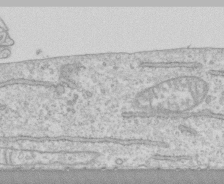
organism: Human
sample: CRL-1474